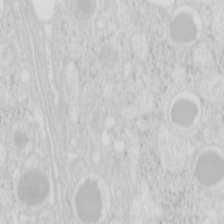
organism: Mouse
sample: Pancreas